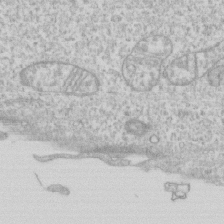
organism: Human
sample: CRL-1474